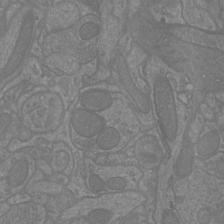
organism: Mouse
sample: Cortical neurons